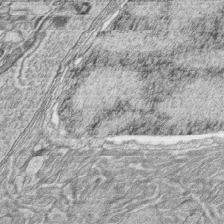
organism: Zebrafish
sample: synaptic ribbons in rod cells and cone cells